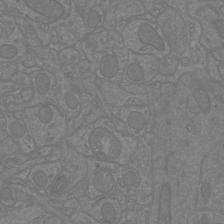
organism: Mouse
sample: Cortical neurons